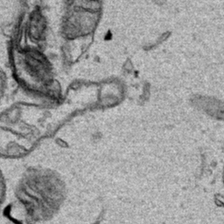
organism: Human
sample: Mitochondria in HCT116 cells